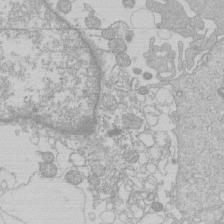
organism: Human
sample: Macrophage cells